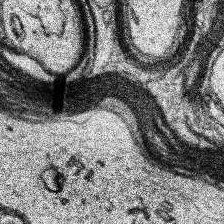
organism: Human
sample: Temporal Lobe